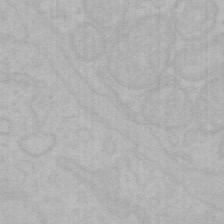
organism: Mouse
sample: Choroid plexus